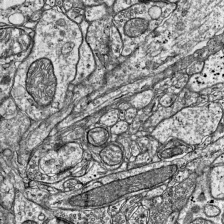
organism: Mouse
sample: Visual Cortex